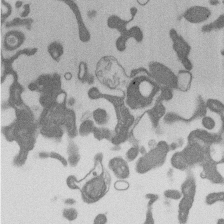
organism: Mouse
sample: Dividing mouse embryo 1 cell stage